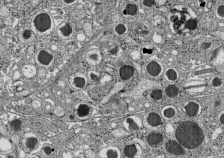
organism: C57BL Mouse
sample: Pancreatic islet